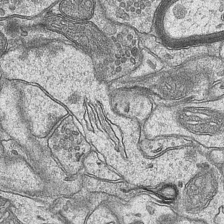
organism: Mouse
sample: CA1 Hippocampus